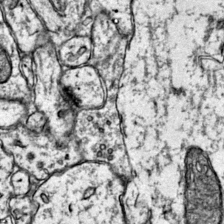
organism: Mouse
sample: Primary visual cortex